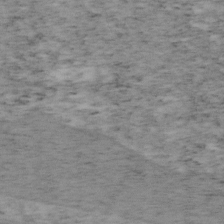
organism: Mouse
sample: OT-I killer T cells with ID8 ovarian cancer cells